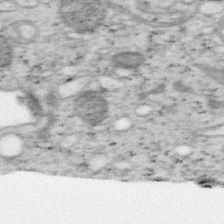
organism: Mouse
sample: OT-I killer T cells with ID8 ovarian cancer cells